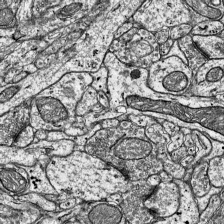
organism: Mouse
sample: Visual Cortex